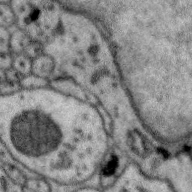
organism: Zebra finch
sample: Brain